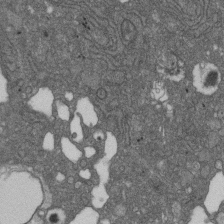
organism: Drosophila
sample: Nephrocyte